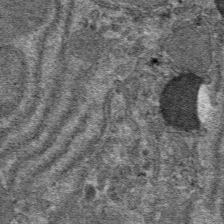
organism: Mouse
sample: Mouse hepatocytes